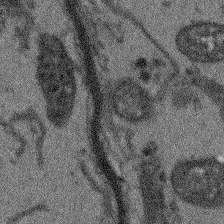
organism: Arabidopsis thaliana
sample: Root tip